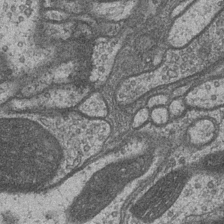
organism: Drosophila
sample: Optic medulla